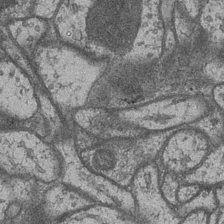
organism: Drosophila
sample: Optic medulla